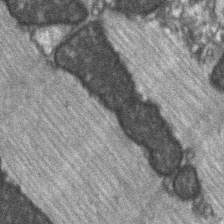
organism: C57BL Mouse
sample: Soleus